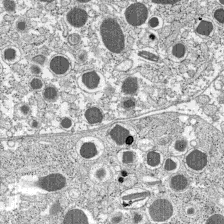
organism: C57BL Mouse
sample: Pancreatic islet